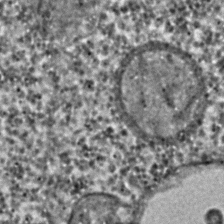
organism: C. elegans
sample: C. elegans embryo